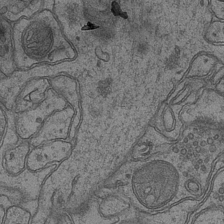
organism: Mouse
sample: CA1 Hippocampus